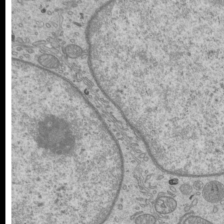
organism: Mouse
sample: Cilia; mouse epididymis